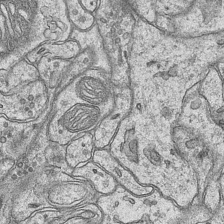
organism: Mouse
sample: CA1 Hippocampus